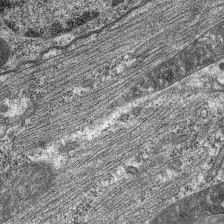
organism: C. elegans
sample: Pharynx